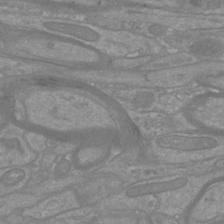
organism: Mouse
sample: Cortical neurons